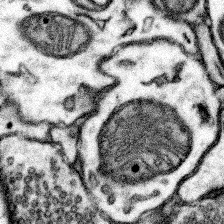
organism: Mouse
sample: Somatosensory cortex neuropil